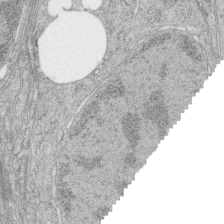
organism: Zebrafish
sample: synaptic ribbons in rod cells and cone cells